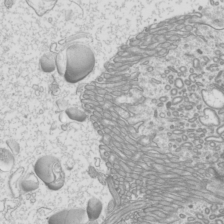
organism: Mouse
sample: Cilia; mouse epididymis